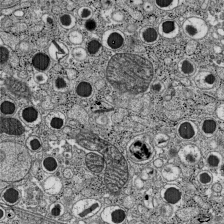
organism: C57BL Mouse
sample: Pancreatic islet